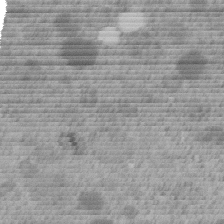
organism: C. elegans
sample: C. elegans embryo early stage